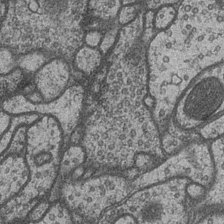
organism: Drosophila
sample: Optic medulla